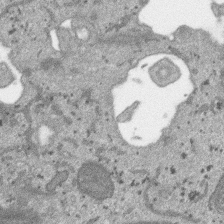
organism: Human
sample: Lung epithelial cells infected with SARS-CoV-2